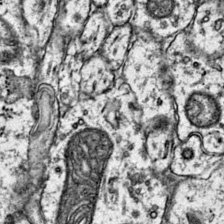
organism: Mouse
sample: Primary visual cortex